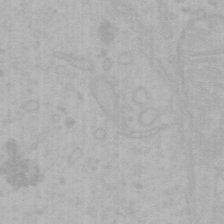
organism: Mouse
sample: Choroid plexus